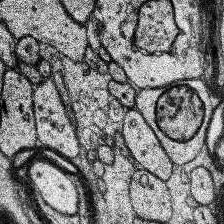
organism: Human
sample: Temporal Lobe